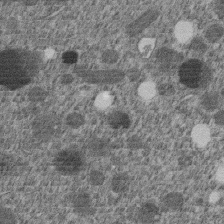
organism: C. elegans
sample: C. elegans embryo early stage